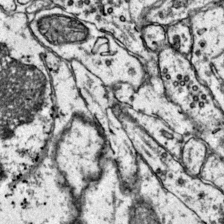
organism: Mouse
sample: Primary visual cortex